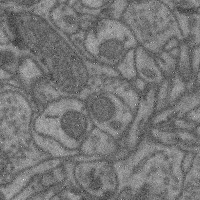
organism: Mouse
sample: Cerebral cortex